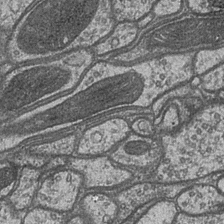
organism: Drosophila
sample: Optic medulla